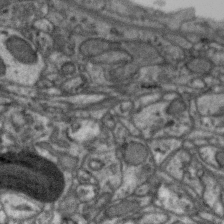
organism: Zebra finch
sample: Brain